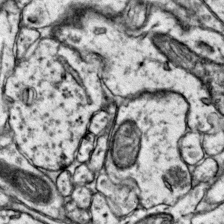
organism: Mouse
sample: Primary visual cortex